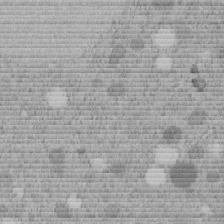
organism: C. elegans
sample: C. elegans embryo early stage